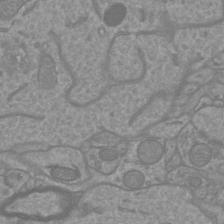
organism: Mouse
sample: Cortical neurons